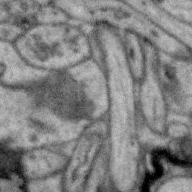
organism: Zebra finch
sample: Brain